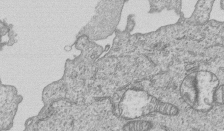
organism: Human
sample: MDA-MB-231 cells